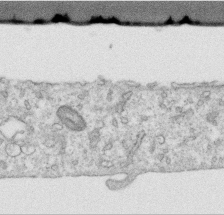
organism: Human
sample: Centriole in RPE cells